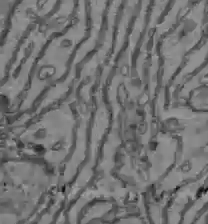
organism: C57BL Mouse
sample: Liver